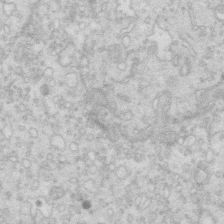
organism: Mouse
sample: Multiciliated cells